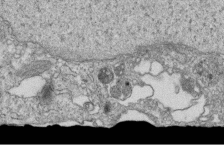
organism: Human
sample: HeLa cell HIV synapse